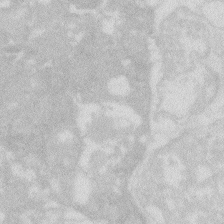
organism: Zebrafish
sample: Macrophage